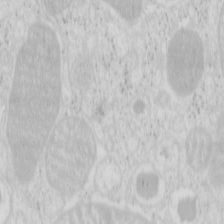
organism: Mouse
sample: Pancreas